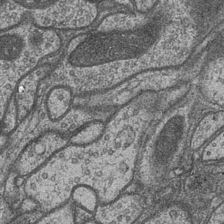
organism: Drosophila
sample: Optic medulla